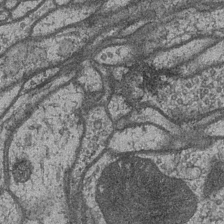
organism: Drosophila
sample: Optic medulla